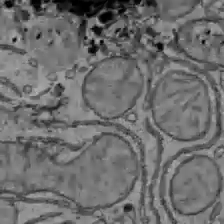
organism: C57BL Mouse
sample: Liver